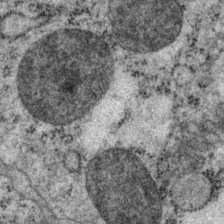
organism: P. pacificus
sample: Pharynx